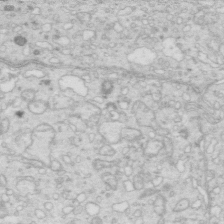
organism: Mouse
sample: Multiciliated cells